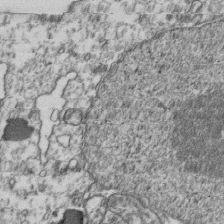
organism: Human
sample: Activated Jurkat CD4+ T cells